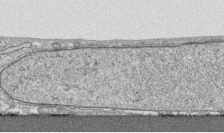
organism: Human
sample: CRL-1474